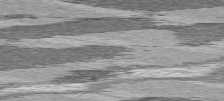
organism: C57BL Mouse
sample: Heart